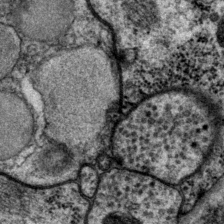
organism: P. pacificus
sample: Pharynx